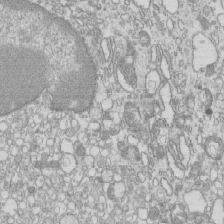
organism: Mouse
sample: Macrophages